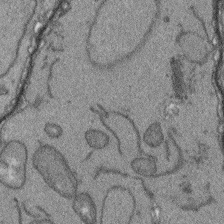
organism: Arabidopsis thaliana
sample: Root tip